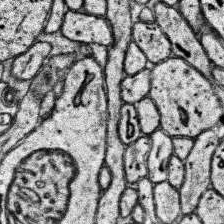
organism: Human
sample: Temporal Lobe